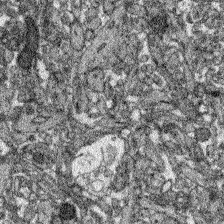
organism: Zebrafish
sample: Larval olfactory bulb